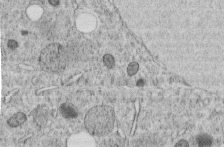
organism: C. elegans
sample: C. elegans embryo early stage